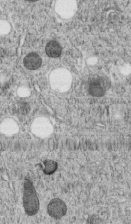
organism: C. elegans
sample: C. elegans embryo early stage